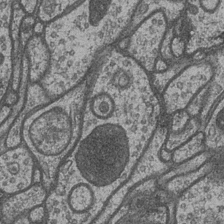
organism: Drosophila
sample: Optic medulla